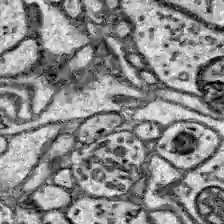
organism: Zebrafish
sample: Brain